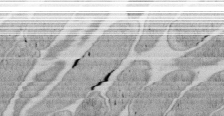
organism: E. coli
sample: Bacterial nucleoid